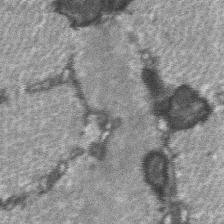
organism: C57BL Mouse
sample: Soleus